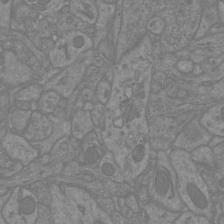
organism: Mouse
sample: Cortical neurons